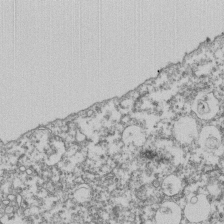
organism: Dictyostelium discoideum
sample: Dictyostelium multivesicular bodies